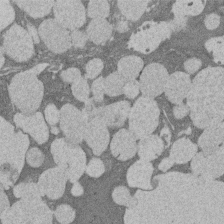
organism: Rat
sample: Salivary granule